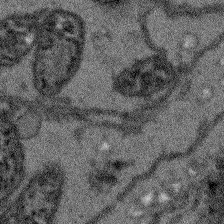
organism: Arabidopsis thaliana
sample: Root tip